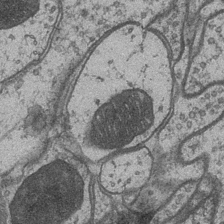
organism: Drosophila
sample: Optic medulla